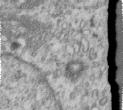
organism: Human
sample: Centriole in RPE cells